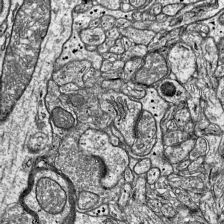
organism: Mouse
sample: Visual Cortex